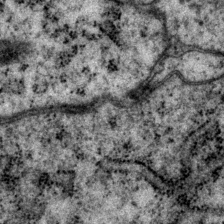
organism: P. pacificus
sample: Pharynx